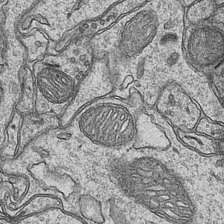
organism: Mouse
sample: CA1 Hippocampus